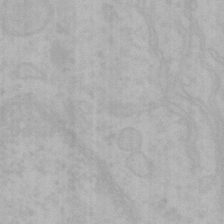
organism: Mouse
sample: Choroid plexus